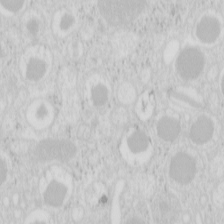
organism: Mouse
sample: Pancreas